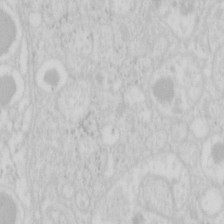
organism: Mouse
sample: Pancreas